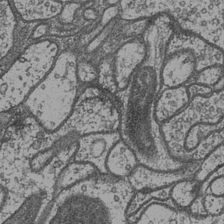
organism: Drosophila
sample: Optic medulla